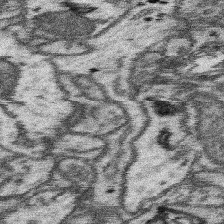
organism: Mouse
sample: Somatosensory cortex neuropil